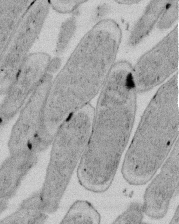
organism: E. coli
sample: Bacterial nucleoid